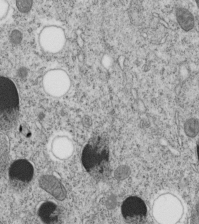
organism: C. elegans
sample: C. elegans embryo early stage